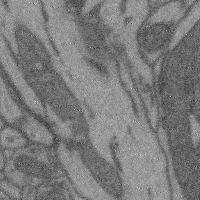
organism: Mouse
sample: Cerebral cortex